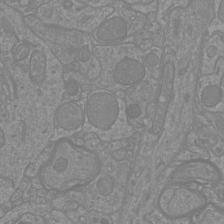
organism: Mouse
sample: Cortical neurons